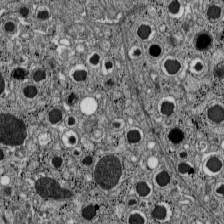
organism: C57BL Mouse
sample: Pancreatic islet